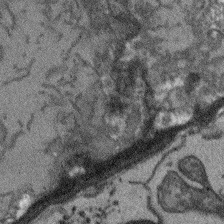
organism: Arabidopsis thaliana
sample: Root tip